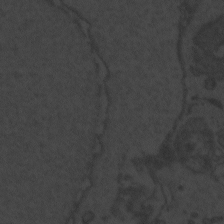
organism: Zebrafish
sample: Macrophage infected with Toxoplasma gondii